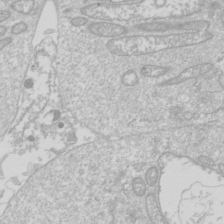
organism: Drosophila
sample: Cell division; meiosis; drosophila spermatocytes